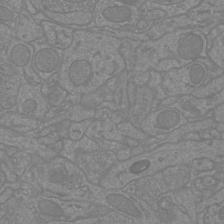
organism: Mouse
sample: Cortical neurons